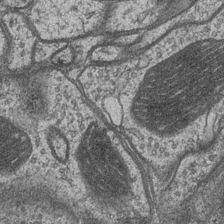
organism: Drosophila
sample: Optic medulla